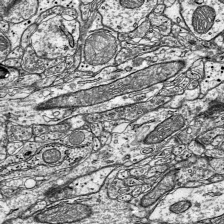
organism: Mouse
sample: Visual Cortex